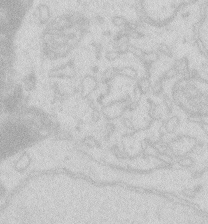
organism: Zebrafish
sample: Macrophage